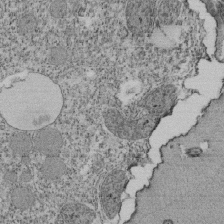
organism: Tetrahymena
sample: Cilia in tetrahymena